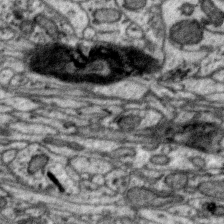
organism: Zebra finch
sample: Brain